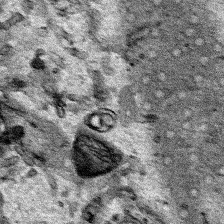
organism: Human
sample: Mitochondria in HCT116 cells